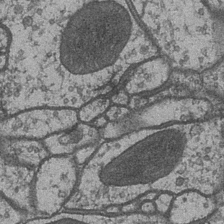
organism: Drosophila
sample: Optic medulla